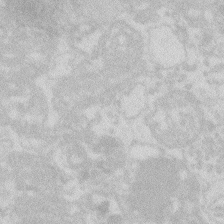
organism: Zebrafish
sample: Macrophage